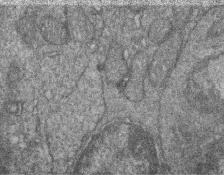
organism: Zebrafish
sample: Cilia; retinal pigment epithelium